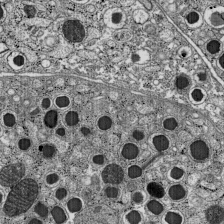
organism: C57BL Mouse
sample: Pancreatic islet